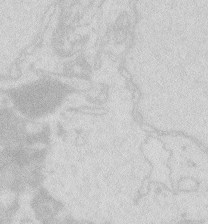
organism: Zebrafish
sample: Macrophage